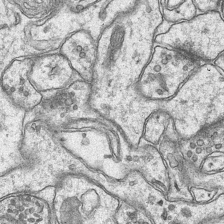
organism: Mouse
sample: CA1 Hippocampus